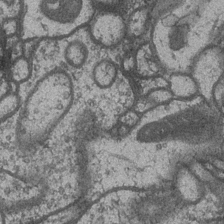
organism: Drosophila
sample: Optic medulla